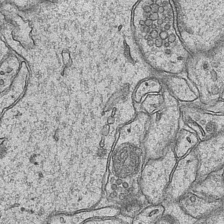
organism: Mouse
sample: CA1 Hippocampus